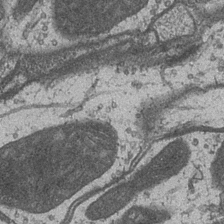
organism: Drosophila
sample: Optic medulla